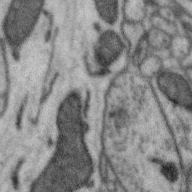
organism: Zebra finch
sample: Brain